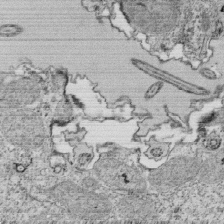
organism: Tetrahymena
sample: Cilia in tetrahymena